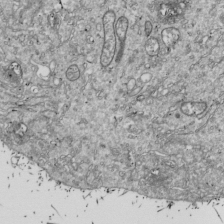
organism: Drosophila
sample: Cell division; meiosis; drosophila spermatocytes